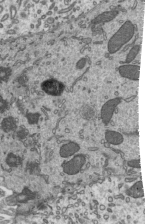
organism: Mouse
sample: Mouse epididymis efferent ductule cilia